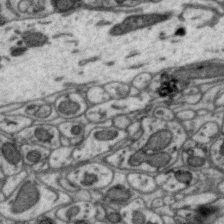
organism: Zebra finch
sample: Brain